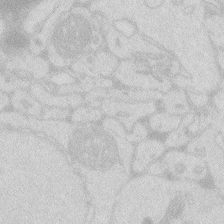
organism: Zebrafish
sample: Macrophage